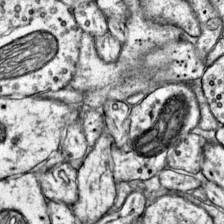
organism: Mouse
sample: Primary visual cortex